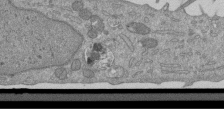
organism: Mouse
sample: ED-1 cell nuclei; centrioles